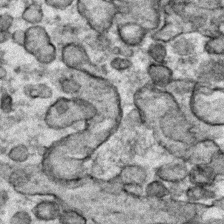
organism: Zebrafish